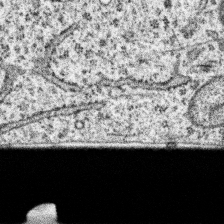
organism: Human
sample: HeLa cells